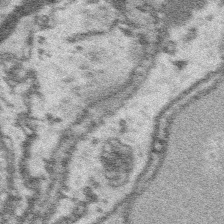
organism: Platynereis dumerilii